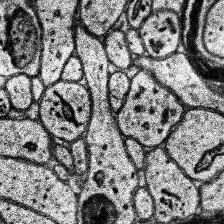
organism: Human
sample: Temporal Lobe